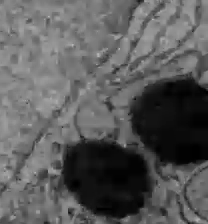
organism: C57BL Mouse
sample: Liver